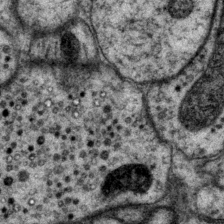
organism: P. pacificus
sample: Pharynx